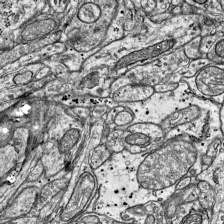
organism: Mouse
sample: Visual Cortex